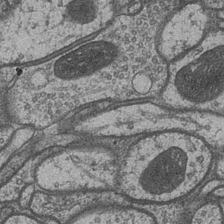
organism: Drosophila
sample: Optic medulla